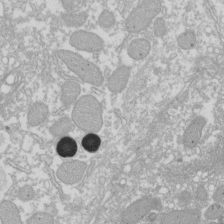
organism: Xenopus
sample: Cilia; centrioles in frog embryo cells